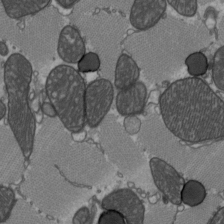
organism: C57BL Mouse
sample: Heart